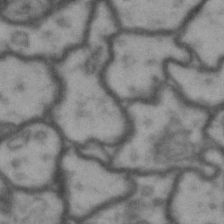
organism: Drosophila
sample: Brain